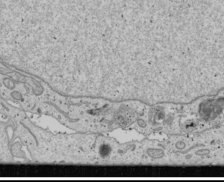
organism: Human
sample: Mitochondria in U2OS cells